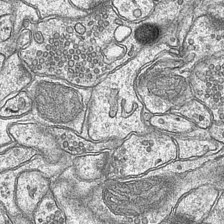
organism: Mouse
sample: CA1 Hippocampus